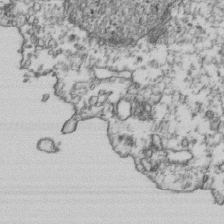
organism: Human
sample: Activated Jurkat CD4+ T cells